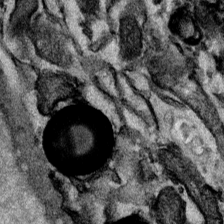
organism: Mouse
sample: Cancer cell death in ED-1 cells